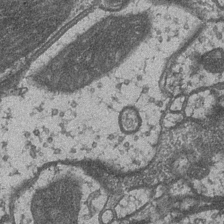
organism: Drosophila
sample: Optic medulla